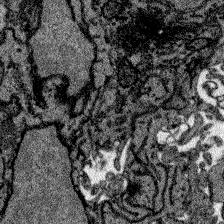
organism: Zebrafish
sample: Larval olfactory bulb